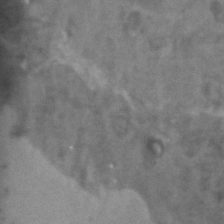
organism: Zebrafish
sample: Zebrafish embryo